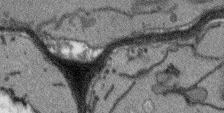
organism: Arabidopsis thaliana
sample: Root tip